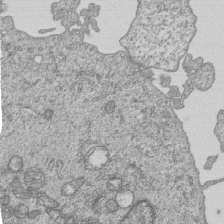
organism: Human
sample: MDA-MB-231 cells